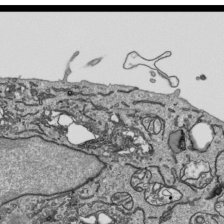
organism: Human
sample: Mitochondria in HCT116 cells